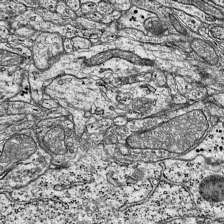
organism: Mouse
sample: Visual Cortex